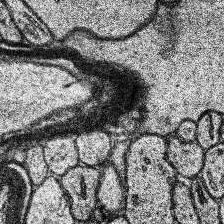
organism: Human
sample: Temporal Lobe